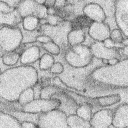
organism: Rabbit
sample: Retina